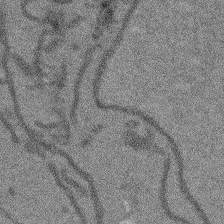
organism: Arabidopsis thaliana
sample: Root tip